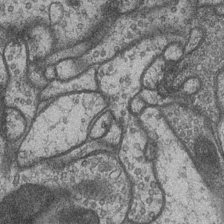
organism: Drosophila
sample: Optic medulla